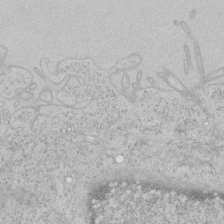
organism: Human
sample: Mitochondria in HCT116 cells